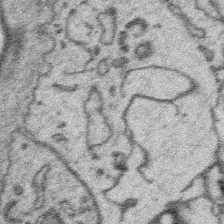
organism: Platynereis dumerilii